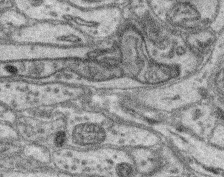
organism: Mouse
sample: Retina